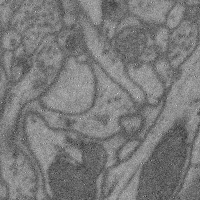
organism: Mouse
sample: Cerebral cortex